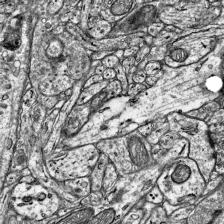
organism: Mouse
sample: Visual Cortex